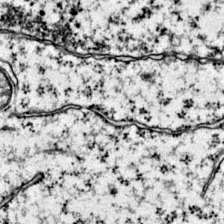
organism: Mouse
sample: Primary visual cortex